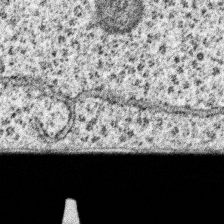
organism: Human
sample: HeLa cells